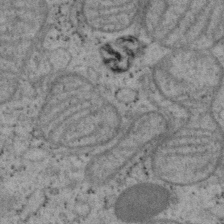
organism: Human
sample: HeLa cells